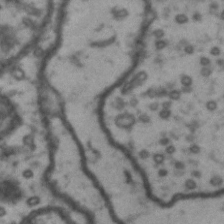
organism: Drosophila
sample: Brain